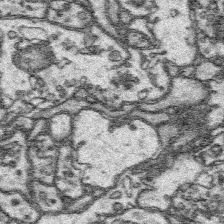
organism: Platynereis dumerilii